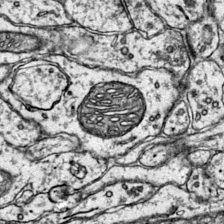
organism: Mouse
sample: Primary visual cortex